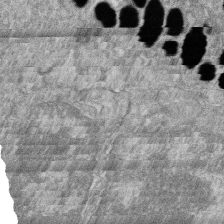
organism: Zebrafish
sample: Cilia; retinal pigment epithelium